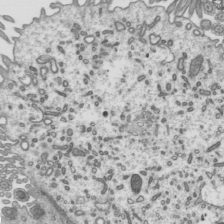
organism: Mouse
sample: Mouse epididymis efferent ductule cilia